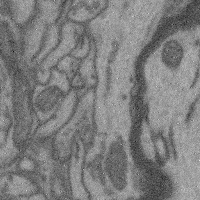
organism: Mouse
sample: Cerebral cortex